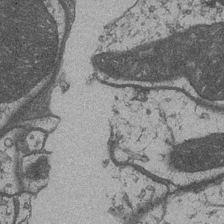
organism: Drosophila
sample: Optic medulla